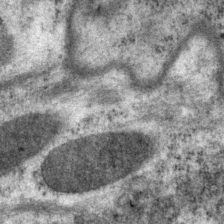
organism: P. pacificus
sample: Pharynx